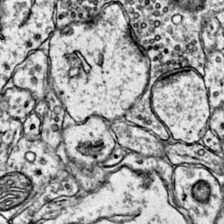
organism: Mouse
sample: Primary visual cortex